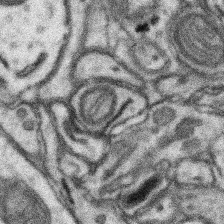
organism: Mouse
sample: Somatosensory cortex neuropil